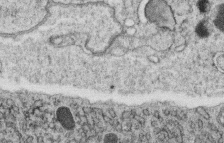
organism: C. elegans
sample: C. elegans oocyte; sperm cells